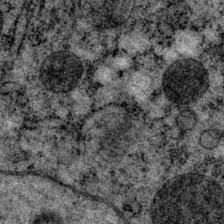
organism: P. pacificus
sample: Pharynx